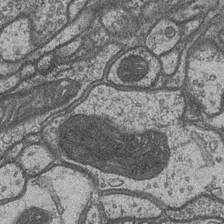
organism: Drosophila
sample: Optic medulla